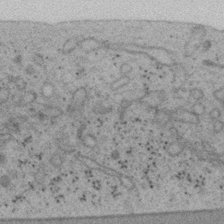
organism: Human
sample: HeLa cells